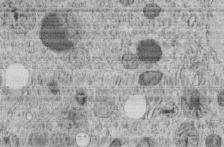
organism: C. elegans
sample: C. elegans embryo early stage